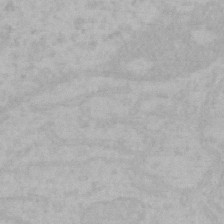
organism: Mouse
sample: Choroid plexus